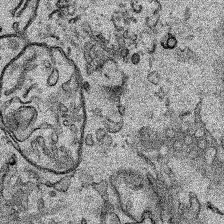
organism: Human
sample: Mitochondria in HCT116 cells